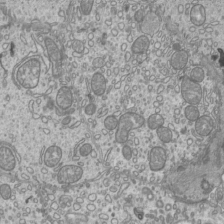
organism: Mouse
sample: Cilia; mouse epididymis